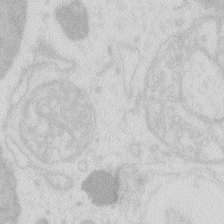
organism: Zebrafish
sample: Macrophage